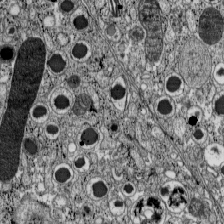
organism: C57BL Mouse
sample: Pancreatic islet